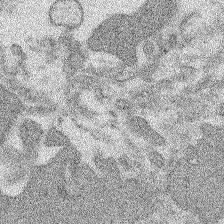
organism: Human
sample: HeLa cells